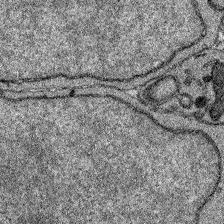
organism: Zebrafish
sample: Larval olfactory bulb